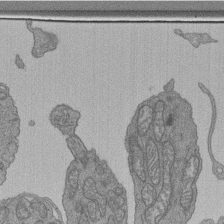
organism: Human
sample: Retinal organoid Rod and Cone cells